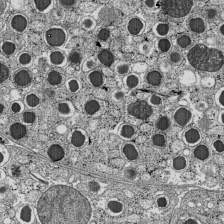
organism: C57BL Mouse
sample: Pancreatic islet